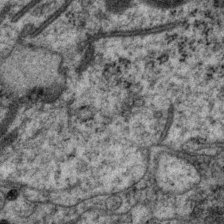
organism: P. pacificus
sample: Pharynx